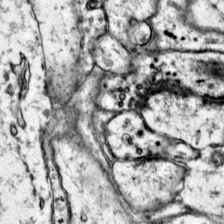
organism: Mouse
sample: Primary visual cortex